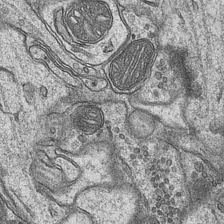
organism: Mouse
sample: CA1 Hippocampus